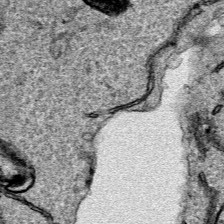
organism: Human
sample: Mitochondria in HCT116 cells